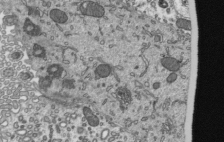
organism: Mouse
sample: Mouse epididymis efferent ductule cilia